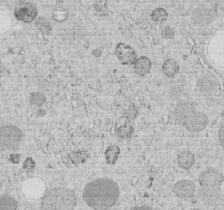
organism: C. elegans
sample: C. elegans embryo early stage